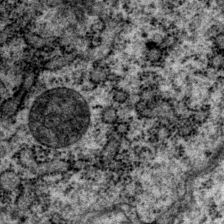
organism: P. pacificus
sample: Pharynx